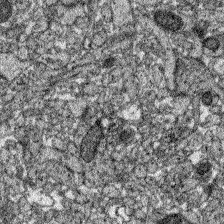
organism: Zebrafish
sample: Larval olfactory bulb